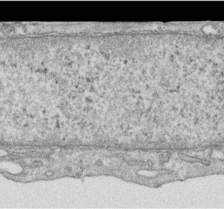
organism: Human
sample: Centriole in RPE cells